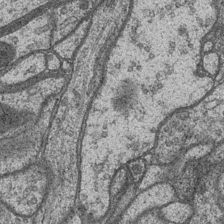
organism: Drosophila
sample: Optic medulla